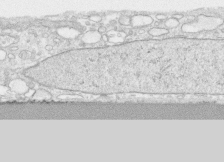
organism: Human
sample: CRL-1474